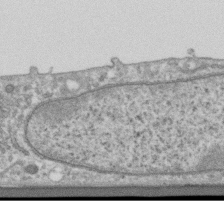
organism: Human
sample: Centriole in RPE cells